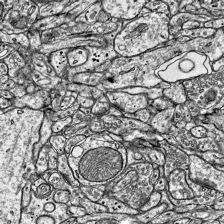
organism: Mouse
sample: Visual Cortex